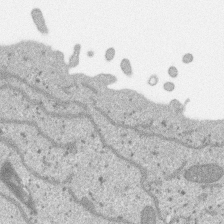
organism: Human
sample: Lung epithelial cells infected with SARS-CoV-2